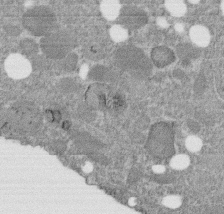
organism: C. elegans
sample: C. elegans embryo early stage